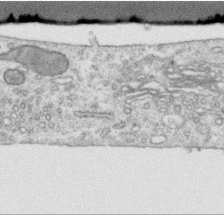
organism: Human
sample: Centriole in RPE cells